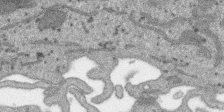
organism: Human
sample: Lung epithelial cells infected with SARS-CoV-2